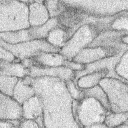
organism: Rabbit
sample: Retina